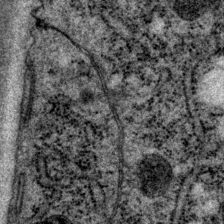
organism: P. pacificus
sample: Pharynx